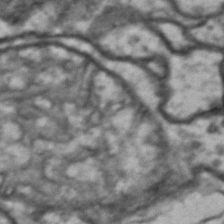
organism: Drosophila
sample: Brain